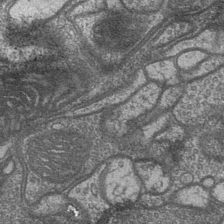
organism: Drosophila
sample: Optic medulla